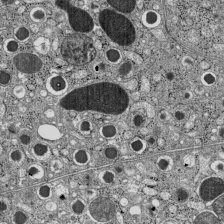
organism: C57BL Mouse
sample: Pancreatic islet